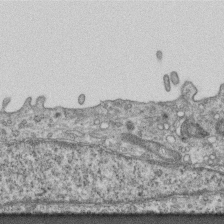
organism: Mouse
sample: Centriole in ependymal cells